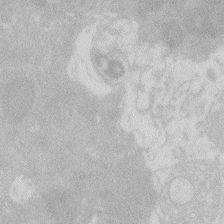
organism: Zebrafish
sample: Macrophage